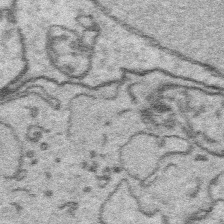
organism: Platynereis dumerilii